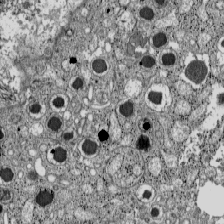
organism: C57BL Mouse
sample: Pancreatic islet